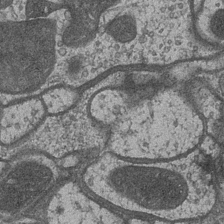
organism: Drosophila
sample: Optic medulla